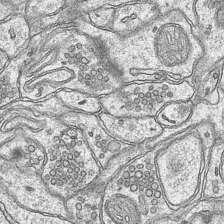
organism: Mouse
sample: CA1 Hippocampus